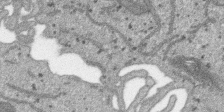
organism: Human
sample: Lung epithelial cells infected with SARS-CoV-2